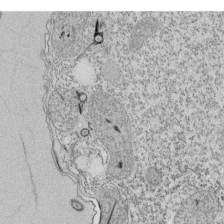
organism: Tetrahymena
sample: Cilia in tetrahymena